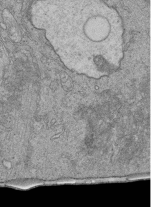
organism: Human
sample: Retinal organoid Rod and Cone cells